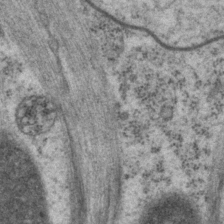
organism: P. pacificus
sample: Pharynx